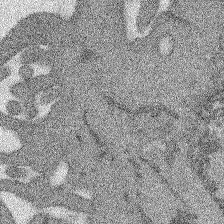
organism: Human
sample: HeLa cells